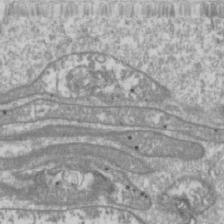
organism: Drosophila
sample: Cell division; meiosis; drosophila spermatocytes